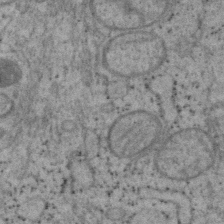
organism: Human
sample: HeLa cells